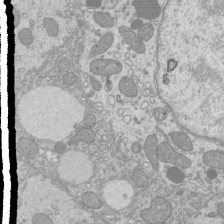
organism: Mouse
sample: Cilia; mouse epididymis